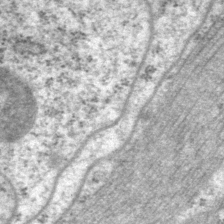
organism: P. pacificus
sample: Pharynx